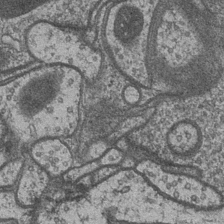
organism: Drosophila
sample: Optic medulla